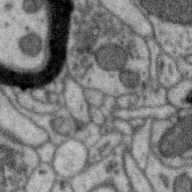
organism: Zebra finch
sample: Brain